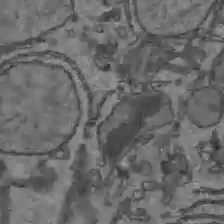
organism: C57BL Mouse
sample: Liver